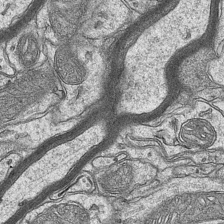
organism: Mouse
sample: CA1 Hippocampus